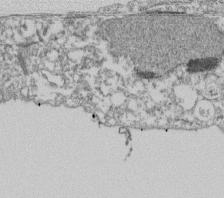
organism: Dictyostelium discoideum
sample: Dictyostelium multivesicular bodies